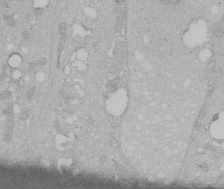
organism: Human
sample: Melanocyte Keratinocyte synapse skin construct